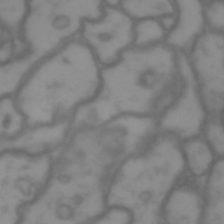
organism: Drosophila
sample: Brain